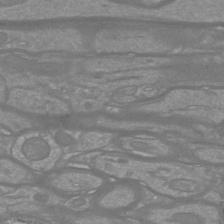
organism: Mouse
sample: Cortical neurons